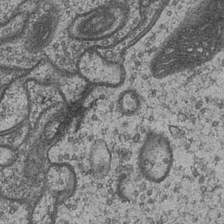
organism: Drosophila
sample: Optic medulla